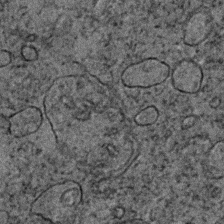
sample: Trachea